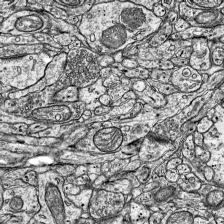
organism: Mouse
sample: Visual Cortex